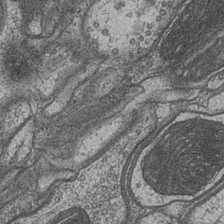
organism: Drosophila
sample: Optic medulla